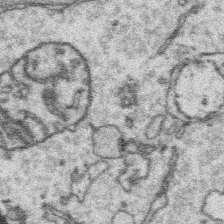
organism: Platynereis dumerilii